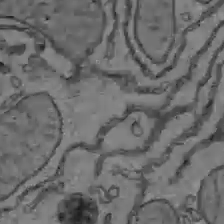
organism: C57BL Mouse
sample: Liver